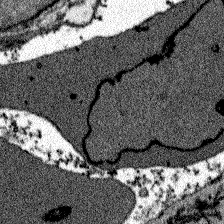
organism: Zebrafish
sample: Larval olfactory bulb